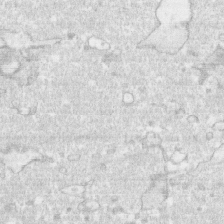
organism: Human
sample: CRL-1474